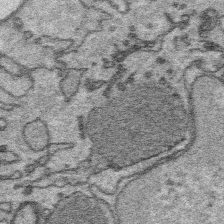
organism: Platynereis dumerilii